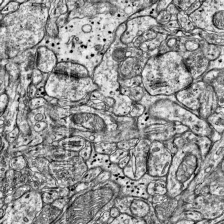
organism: Mouse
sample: Visual Cortex